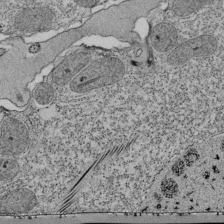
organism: Tetrahymena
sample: Cilia in tetrahymena